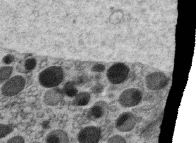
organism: C. elegans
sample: C. elegans oocyte; sperm cells